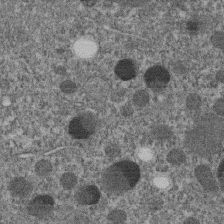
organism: C. elegans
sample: C. elegans embryo early stage